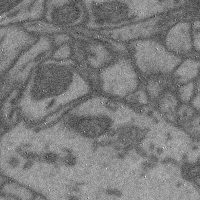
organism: Mouse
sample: Cerebral cortex